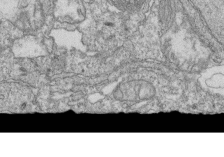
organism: Human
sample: HeLa cell HIV synapse